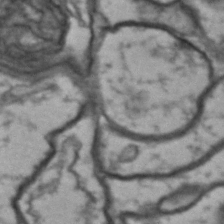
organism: Drosophila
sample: Brain